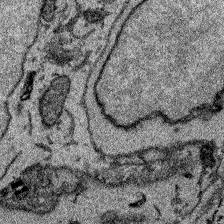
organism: Zebrafish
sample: Larval olfactory bulb